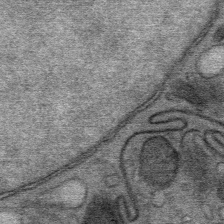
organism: Mouse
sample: Mouse Salivary gland